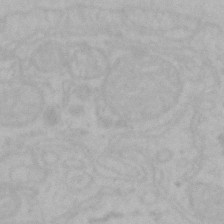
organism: Mouse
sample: Choroid plexus